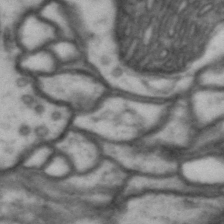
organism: Drosophila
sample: Brain